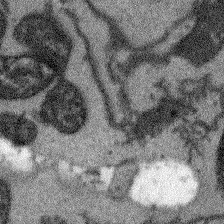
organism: Arabidopsis thaliana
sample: Root tip